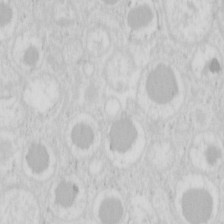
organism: Mouse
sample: Pancreas